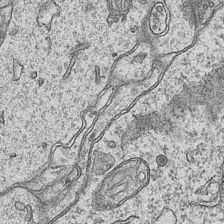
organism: Mouse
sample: CA1 Hippocampus